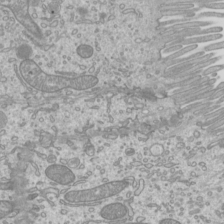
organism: Mouse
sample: Cilia; mouse epididymis